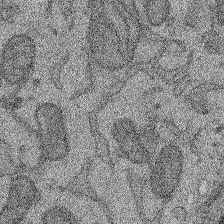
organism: Human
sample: HeLa cells